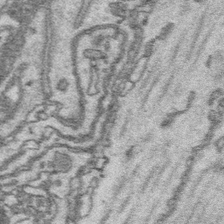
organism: Platynereis dumerilii